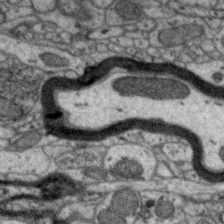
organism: Zebra finch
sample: Brain